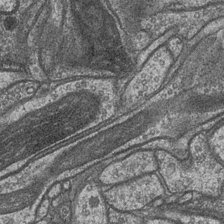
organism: Drosophila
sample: Optic medulla